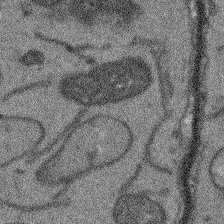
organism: Arabidopsis thaliana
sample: Root tip